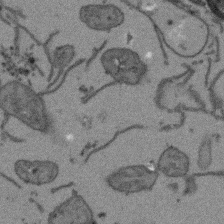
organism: Arabidopsis thaliana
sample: Root tip